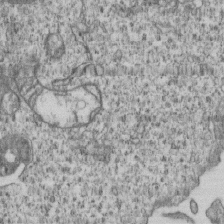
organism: Human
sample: MDA-MB-231 cells